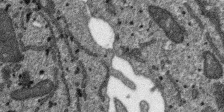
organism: Human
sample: Lung epithelial cells infected with SARS-CoV-2